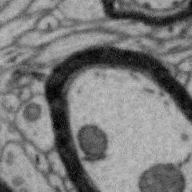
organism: Zebra finch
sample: Brain